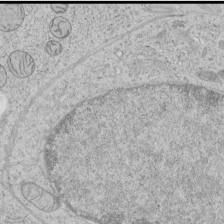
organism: Human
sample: Mitochondria in HCT116 cells